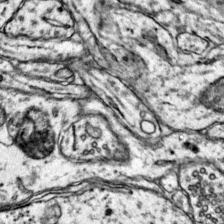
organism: Mouse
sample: Primary visual cortex